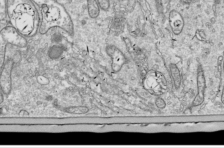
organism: Drosophila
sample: Cell division; meiosis; drosophila spermatocytes